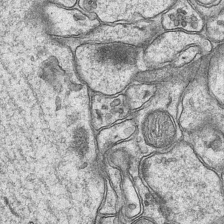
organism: Mouse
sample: CA1 Hippocampus